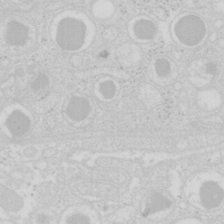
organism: Mouse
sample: Pancreas